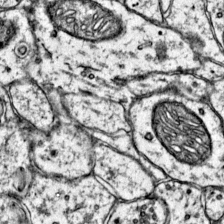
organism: Mouse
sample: Primary visual cortex